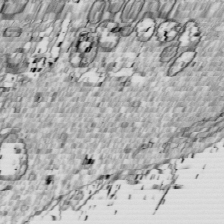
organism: Drosophila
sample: Cell division; meiosis; drosophila spermatocytes